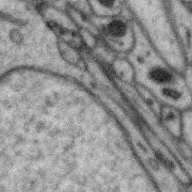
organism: Zebra finch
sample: Brain